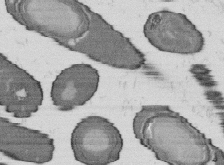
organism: B. subtilis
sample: Bacterial spore